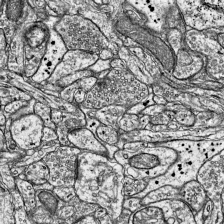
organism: Mouse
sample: Visual Cortex